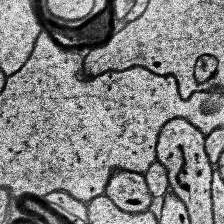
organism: Human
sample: Temporal Lobe